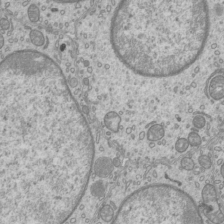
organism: Mouse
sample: Cilia; mouse epididymis